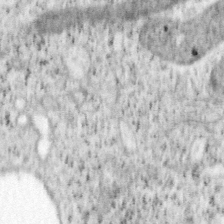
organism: Mouse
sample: OT-I killer T cells with ID8 ovarian cancer cells